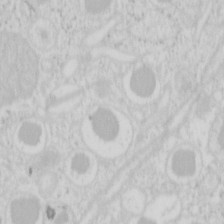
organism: Mouse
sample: Pancreas